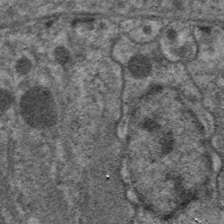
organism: C. elegans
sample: Pharynx